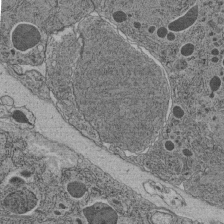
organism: C. elegans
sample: C. elegans pharynx